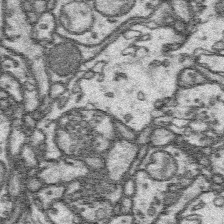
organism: Platynereis dumerilii